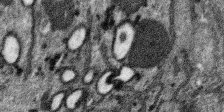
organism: Human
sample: Lung epithelial cells infected with SARS-CoV-2